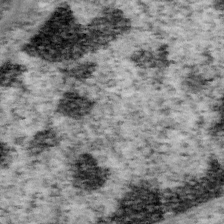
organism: Mouse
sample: OT-I killer T cells with ID8 ovarian cancer cells